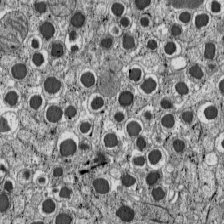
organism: C57BL Mouse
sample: Pancreatic islet